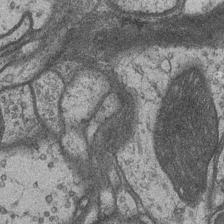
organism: Drosophila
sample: Optic medulla